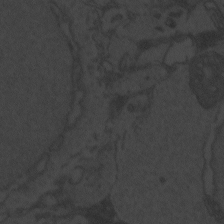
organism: Zebrafish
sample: Macrophage infected with Toxoplasma gondii